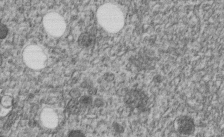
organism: C. elegans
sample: C. elegans embryo early stage